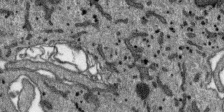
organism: Human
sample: Lung epithelial cells, uninfected (mock) control